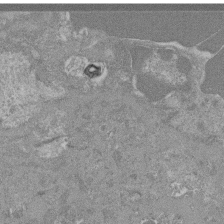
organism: Mouse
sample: Glomerulus